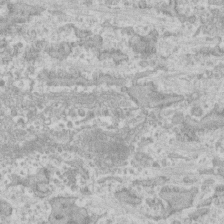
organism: Human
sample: CRL-1474